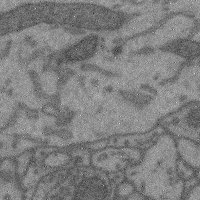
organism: Mouse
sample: Cerebral cortex